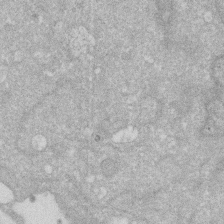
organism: Human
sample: HIV infected U937 cells